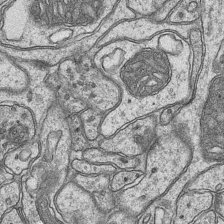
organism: Mouse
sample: CA1 Hippocampus